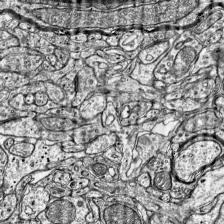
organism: Mouse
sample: Visual Cortex